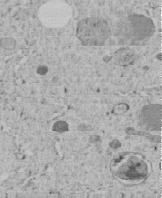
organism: C. elegans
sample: C. elegans embryo early stage